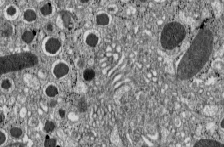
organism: C57BL Mouse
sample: Pancreatic islet